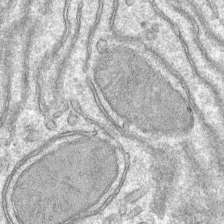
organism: Mouse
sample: Mouse hepatocytes